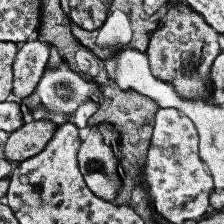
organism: Human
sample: Temporal Lobe